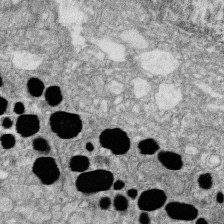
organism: Zebrafish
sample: Cilia; retinal pigment epithelium